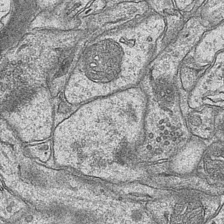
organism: Mouse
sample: CA1 Hippocampus